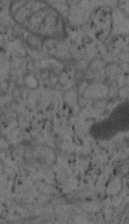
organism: Human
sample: HeLa cells